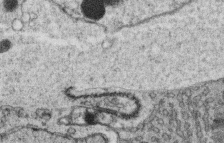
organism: C. elegans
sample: C. elegans oocyte; sperm cells